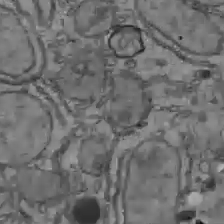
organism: C57BL Mouse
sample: Liver